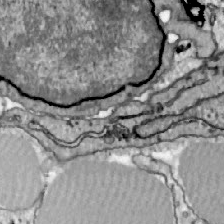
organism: Zebrafish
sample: Actinotrichia fibers